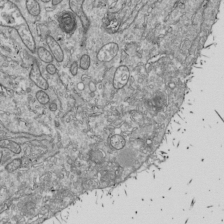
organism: Drosophila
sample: Cell division; meiosis; drosophila spermatocytes